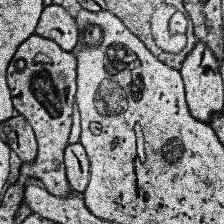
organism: Human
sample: Temporal Lobe